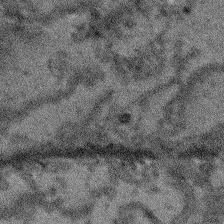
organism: Arabidopsis thaliana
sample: Root tip